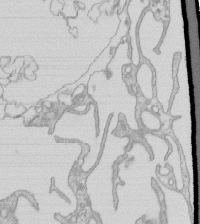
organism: Mouse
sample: Macrophages